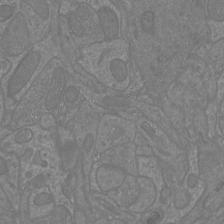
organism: Mouse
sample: Cortical neurons